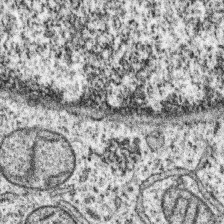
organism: Human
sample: HeLa cells